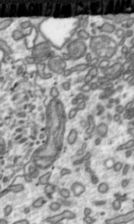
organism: Toxoplasma gondii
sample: Parasites in a vacuole inside a host cell